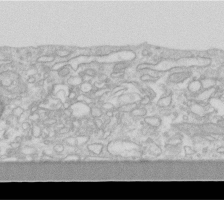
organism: Human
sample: Fibroblast cells